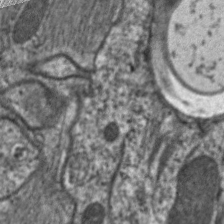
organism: C. elegans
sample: Pharynx